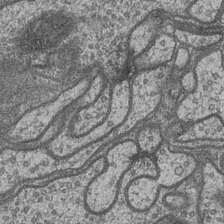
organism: Drosophila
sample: Optic medulla